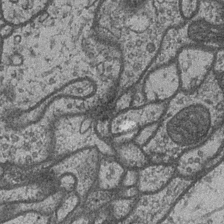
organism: Drosophila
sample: Optic medulla